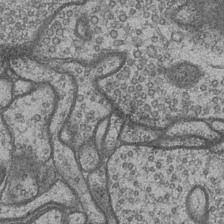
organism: Drosophila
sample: Optic medulla